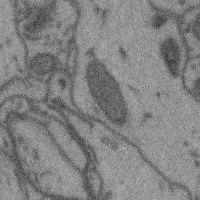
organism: Mouse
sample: Cerebral cortex